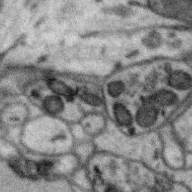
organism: Zebra finch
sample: Brain